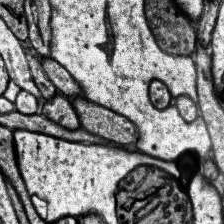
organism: Human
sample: Temporal Lobe